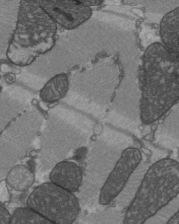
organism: C57BL Mouse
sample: Heart